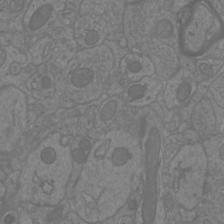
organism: Mouse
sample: Cortical neurons